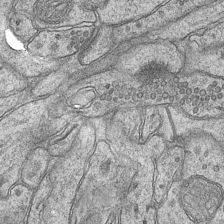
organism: Mouse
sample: CA1 Hippocampus